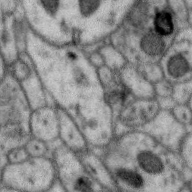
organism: Zebra finch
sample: Brain